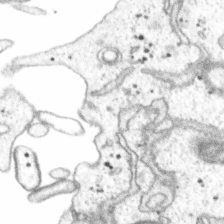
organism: Human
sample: HeLa cells